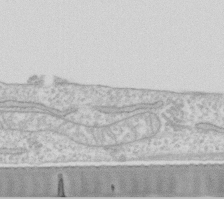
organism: Human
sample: Fibroblast cells